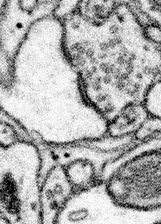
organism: Mouse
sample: Somatosensory cortex neuropil